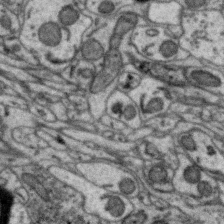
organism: Zebra finch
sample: Brain